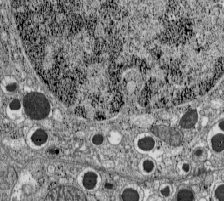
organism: C57BL Mouse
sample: Pancreatic islet